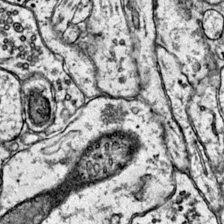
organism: Mouse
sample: Primary visual cortex